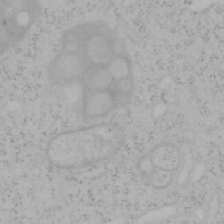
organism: Mouse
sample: OT-I killer T cells with ID8 ovarian cancer cells